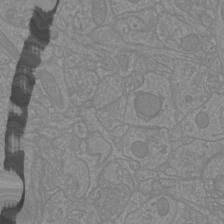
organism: Mouse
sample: Cortical neurons